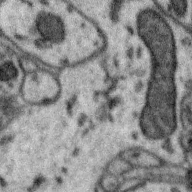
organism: Zebra finch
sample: Brain